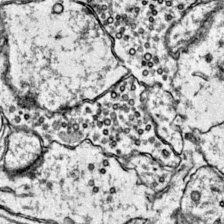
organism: Mouse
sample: Primary visual cortex